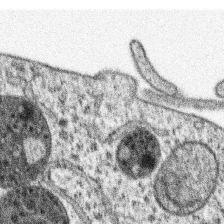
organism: Human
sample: HeLa cells